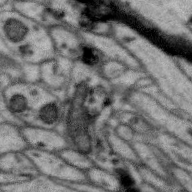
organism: Zebra finch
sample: Brain